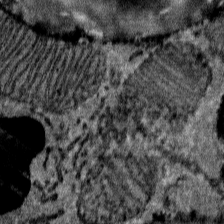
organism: Mouse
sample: Mouse Salivary gland